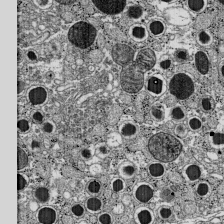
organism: C57BL Mouse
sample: Pancreatic islet